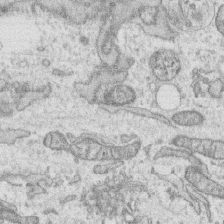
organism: Human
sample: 1205lu cells